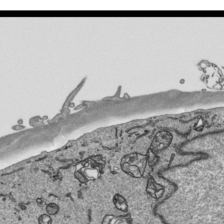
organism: Human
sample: Mitochondria in HCT116 cells